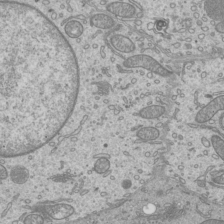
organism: Mouse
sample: Cilia; mouse epididymis